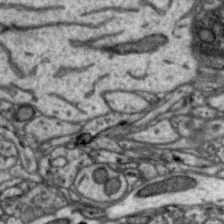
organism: Zebra finch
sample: Brain